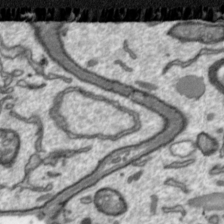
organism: Toxoplasma gondii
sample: Parasites in a vacuole inside a host cell